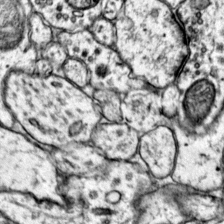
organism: Mouse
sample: Primary visual cortex